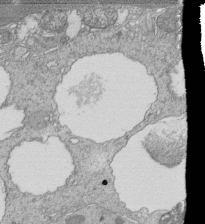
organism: Tetrahymena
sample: Cilia in tetrahymena